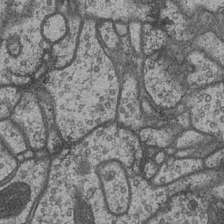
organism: Drosophila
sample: Optic medulla